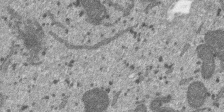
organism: Human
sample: Lung epithelial cells infected with SARS-CoV-2